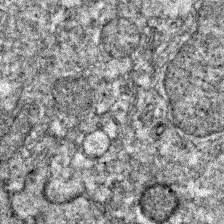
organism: Zebrafish